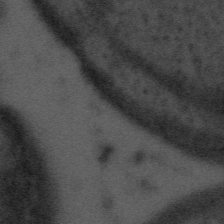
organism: Tuwongella immobilis